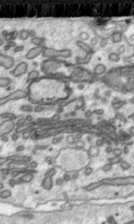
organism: Toxoplasma gondii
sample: Parasites in a vacuole inside a host cell